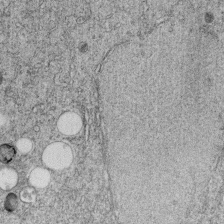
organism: C. elegans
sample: C. elegans embryo early stage